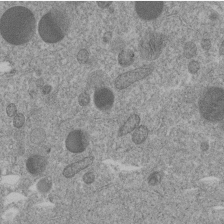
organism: C. elegans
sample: C. elegans embryo early stage